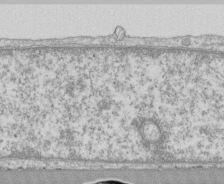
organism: Human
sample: CRL-1474